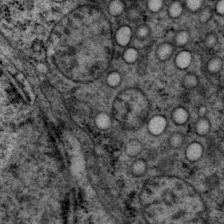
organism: P. pacificus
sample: Pharynx